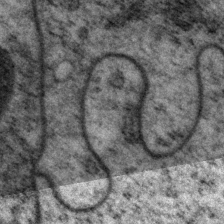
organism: P. pacificus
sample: Pharynx